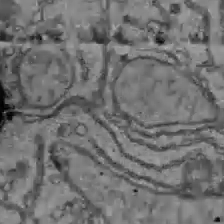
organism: C57BL Mouse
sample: Liver